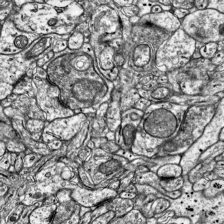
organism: Mouse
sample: Visual Cortex